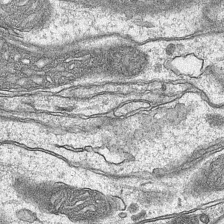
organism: Mouse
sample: CA1 Hippocampus